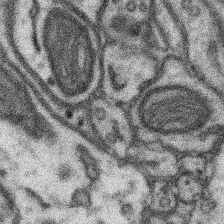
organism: Mouse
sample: Somatosensory cortex neuropil